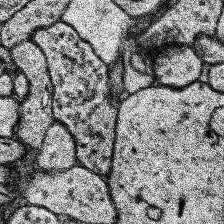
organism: Human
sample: Temporal Lobe